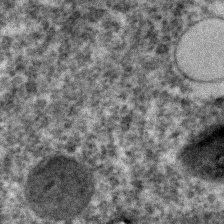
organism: C. elegans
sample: C. elegans embryo